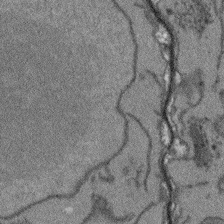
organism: Arabidopsis thaliana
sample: Root tip